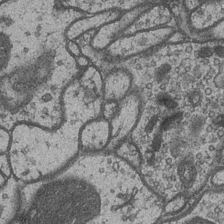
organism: Drosophila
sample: Optic medulla